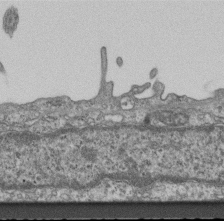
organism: Mouse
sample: Centriole in ependymal cells